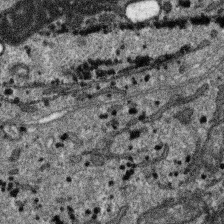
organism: Human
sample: Lung epithelial cells infected with SARS-CoV-2